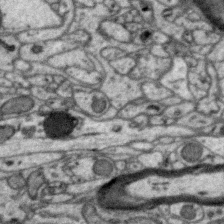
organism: Zebra finch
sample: Brain